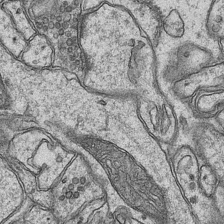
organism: Mouse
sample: CA1 Hippocampus